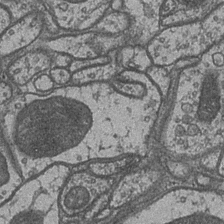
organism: Drosophila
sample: Optic medulla